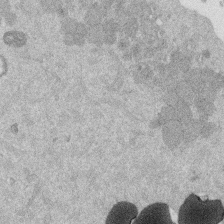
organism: Mouse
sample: Dividing mouse embryo 1 cell stage